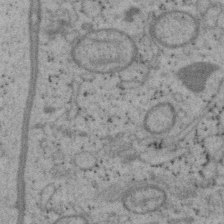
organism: Human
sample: HeLa cells